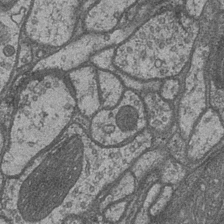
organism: Drosophila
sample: Optic medulla